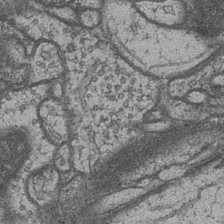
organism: Drosophila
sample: Optic medulla